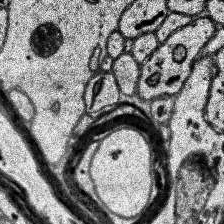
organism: Human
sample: Temporal Lobe